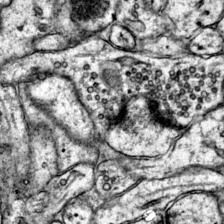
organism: Mouse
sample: Primary visual cortex